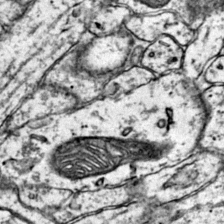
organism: Mouse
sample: Primary visual cortex